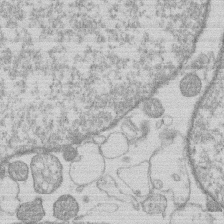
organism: Human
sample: Macrophage cells